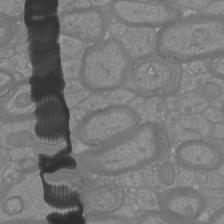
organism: Mouse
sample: Cortical neurons